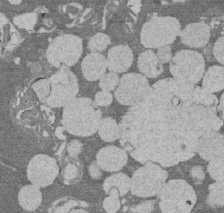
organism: Rat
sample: Salivary granule